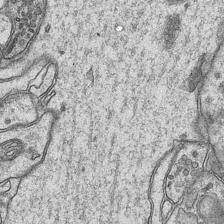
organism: Mouse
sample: CA1 Hippocampus